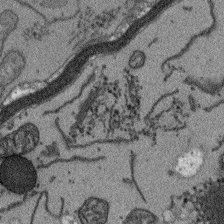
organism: Arabidopsis thaliana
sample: Root tip